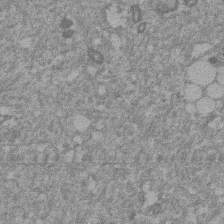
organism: Mouse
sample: Dividing mouse embryo 1 cell stage